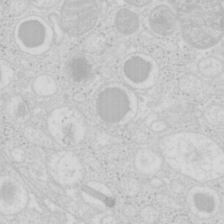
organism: Mouse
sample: Pancreas